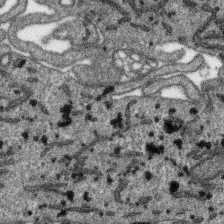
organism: Human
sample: Lung epithelial cells infected with SARS-CoV-2